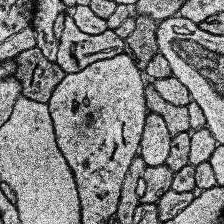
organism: Human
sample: Temporal Lobe